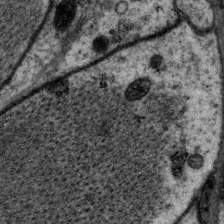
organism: P. pacificus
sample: Pharynx